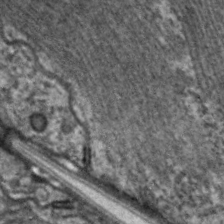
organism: C. elegans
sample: Pharynx